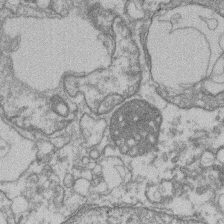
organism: Mouse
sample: T cell stromal cell synapse